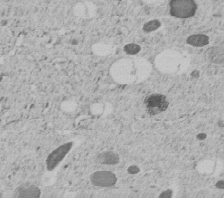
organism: C. elegans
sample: C. elegans embryo early stage